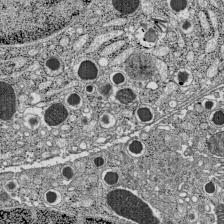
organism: C57BL Mouse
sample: Pancreatic islet